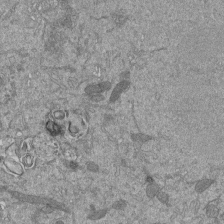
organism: Mouse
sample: ED-1 cell nuclei; centrioles